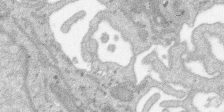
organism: Human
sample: Lung epithelial cells infected with SARS-CoV-2